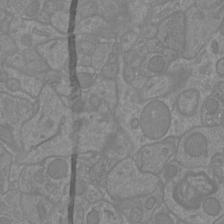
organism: Mouse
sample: Cortical neurons